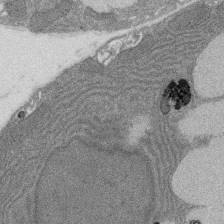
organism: Rat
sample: Salivary granule